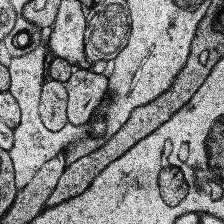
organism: Human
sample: Temporal Lobe